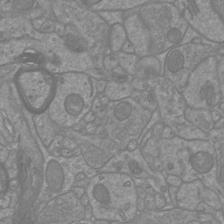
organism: Mouse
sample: Cortical neurons